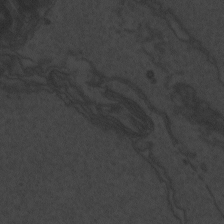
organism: Zebrafish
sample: Macrophage infected with Toxoplasma gondii